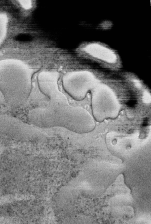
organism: Human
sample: Retinal organoid Rod and Cone cells